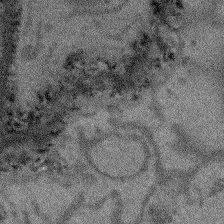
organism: Arabidopsis thaliana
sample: Root tip